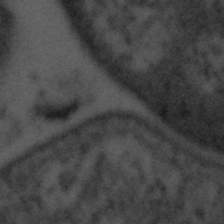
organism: Tuwongella immobilis